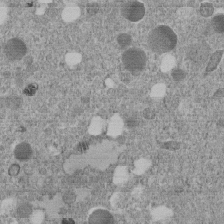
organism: C. elegans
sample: C. elegans embryo early stage